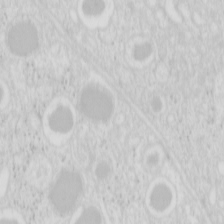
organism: Mouse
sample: Pancreas